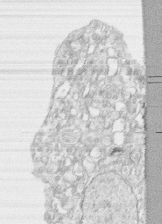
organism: Human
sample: CRL-1474